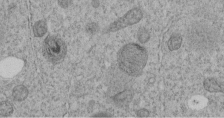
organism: C. elegans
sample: C. elegans embryo early stage